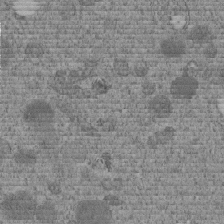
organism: C. elegans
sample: C. elegans embryo early stage